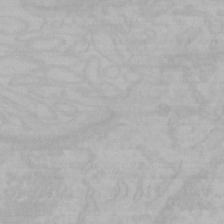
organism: Mouse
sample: Choroid plexus